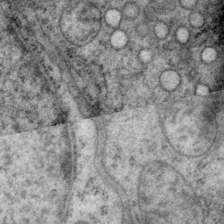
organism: P. pacificus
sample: Pharynx